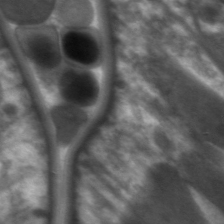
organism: C. elegans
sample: Pharynx